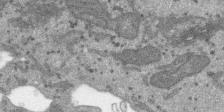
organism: Human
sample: Lung epithelial cells infected with SARS-CoV-2